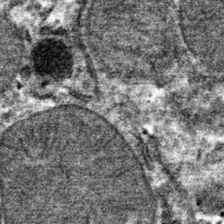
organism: Mouse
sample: Mouse hepatocytes